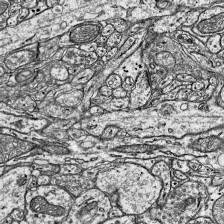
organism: Mouse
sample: Visual Cortex